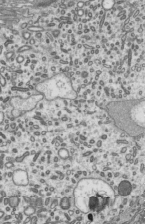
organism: Mouse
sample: Mouse epididymis efferent ductule cilia